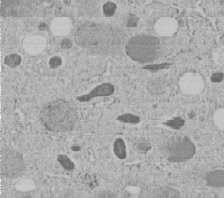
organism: C. elegans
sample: C. elegans embryo early stage